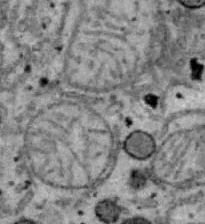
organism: Mouse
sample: Liver from an obese (ob/ob) mouse